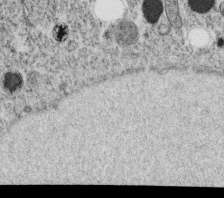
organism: C. elegans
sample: C. elegans oocyte; sperm cells